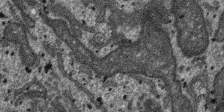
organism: Human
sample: Lung epithelial cells infected with SARS-CoV-2